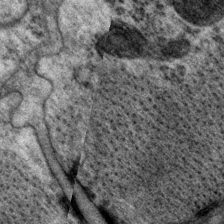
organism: P. pacificus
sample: Pharynx